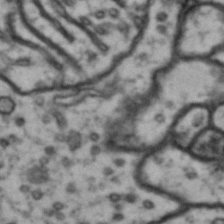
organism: Drosophila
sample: Brain